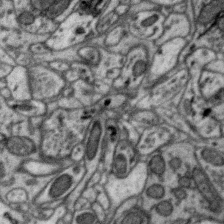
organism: Zebra finch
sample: Brain